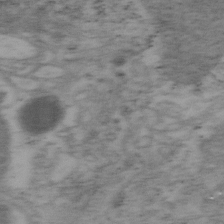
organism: Mouse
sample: OT-I killer T cells with ID8 ovarian cancer cells